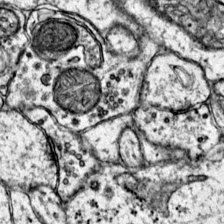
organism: Mouse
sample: Primary visual cortex